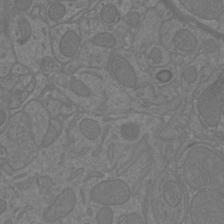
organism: Mouse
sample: Cortical neurons